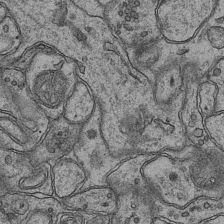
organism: Mouse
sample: CA1 Hippocampus